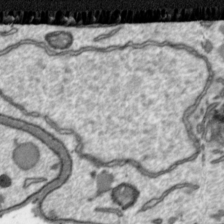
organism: Toxoplasma gondii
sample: Parasites in a vacuole inside a host cell